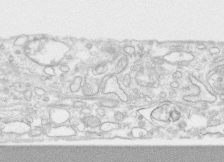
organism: Human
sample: CRL-1474